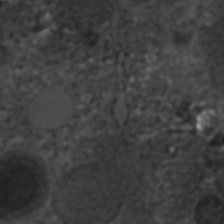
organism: C. elegans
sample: C. elegans embryo